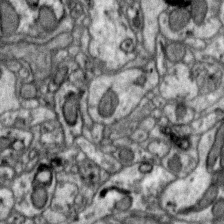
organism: Zebra finch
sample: Brain